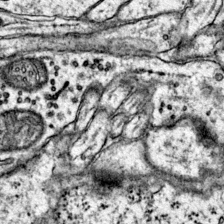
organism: Mouse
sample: Primary visual cortex